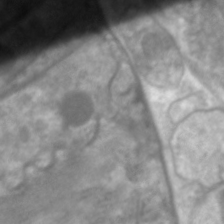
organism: C. elegans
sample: Pharynx